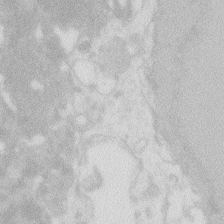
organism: Zebrafish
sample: Macrophage